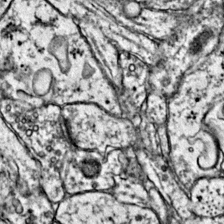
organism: Mouse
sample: Primary visual cortex